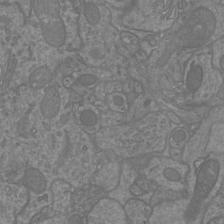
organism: Mouse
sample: Cortical neurons